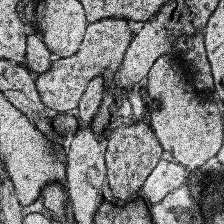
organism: Human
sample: Temporal Lobe